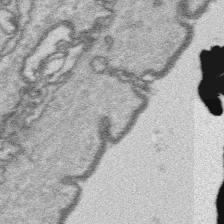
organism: Platynereis dumerilii